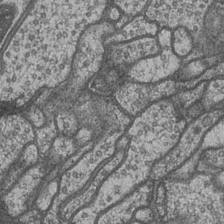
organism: Drosophila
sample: Optic medulla